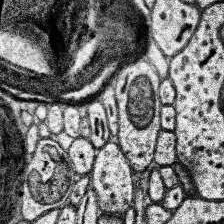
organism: Human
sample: Temporal Lobe